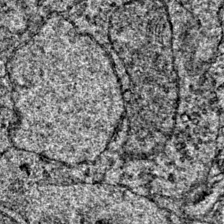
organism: Mouse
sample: Primary visual cortex